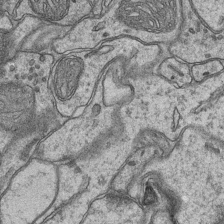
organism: Mouse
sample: CA1 Hippocampus